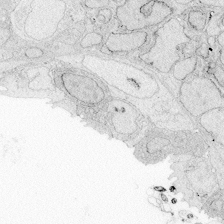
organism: Zebrafish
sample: Whole-Brain